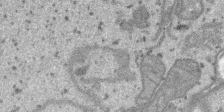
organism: Human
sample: Lung epithelial cells infected with SARS-CoV-2